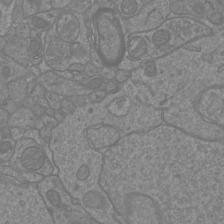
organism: Mouse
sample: Cortical neurons